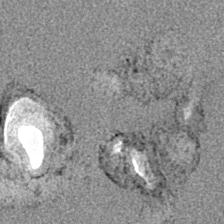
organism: E. coli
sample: E. Coli Bacteria